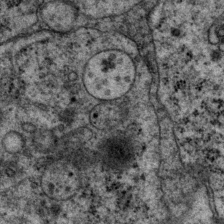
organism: P. pacificus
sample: Pharynx